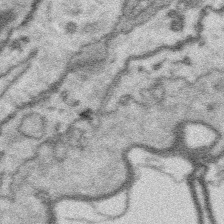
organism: Platynereis dumerilii